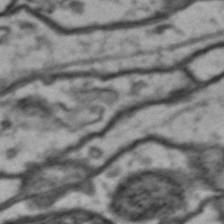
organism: Drosophila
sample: Brain